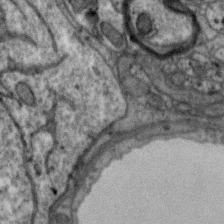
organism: Zebra finch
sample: Brain